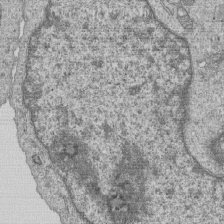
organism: Human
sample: MDA-MB-231 cells